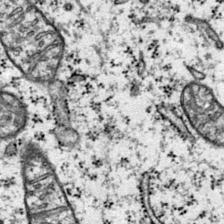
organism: Mouse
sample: Primary visual cortex